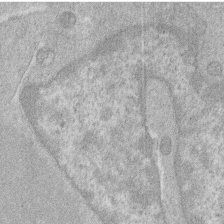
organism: Human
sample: Macrophage cells